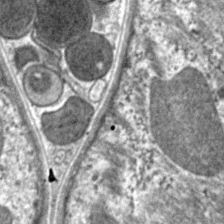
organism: C. elegans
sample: Pharynx